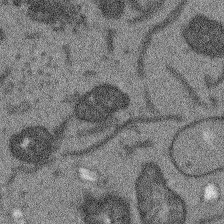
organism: Arabidopsis thaliana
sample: Root tip